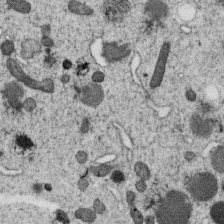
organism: C. elegans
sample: C. elegans oocyte; sperm cells